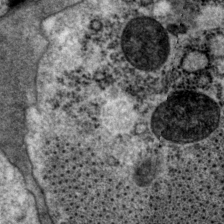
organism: P. pacificus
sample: Pharynx